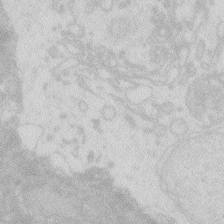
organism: Zebrafish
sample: Macrophage